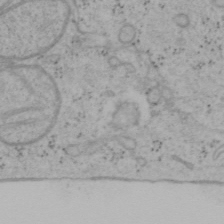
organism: Human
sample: HeLa cells